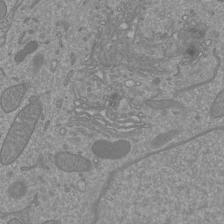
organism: Mouse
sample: Cortical neurons